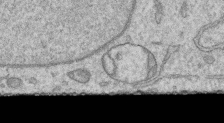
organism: Human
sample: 1205lu cells